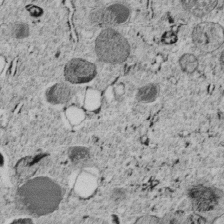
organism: C. elegans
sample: C. elegans embryo early stage